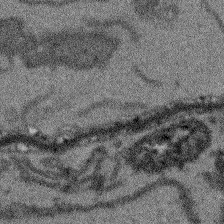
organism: Arabidopsis thaliana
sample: Root tip